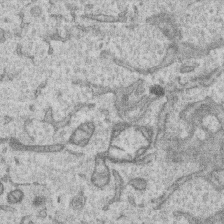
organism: Human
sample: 1205lu cells